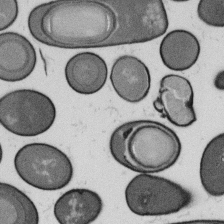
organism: B. subtilis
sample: Bacterial spore